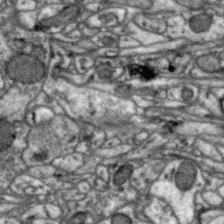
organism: Zebra finch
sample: Brain